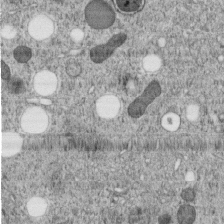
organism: C. elegans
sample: C. elegans embryo early stage